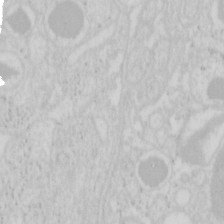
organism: Mouse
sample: Pancreas